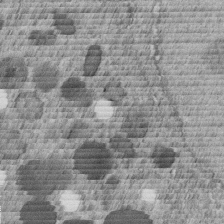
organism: C. elegans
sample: C. elegans embryo early stage